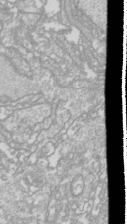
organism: Drosophila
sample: Cell division; meiosis; drosophila spermatocytes